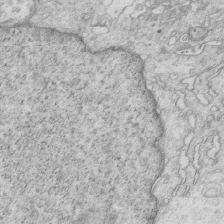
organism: Mouse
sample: Multiciliated cells